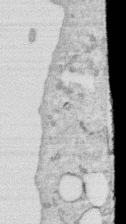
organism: Human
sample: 1205lu cells